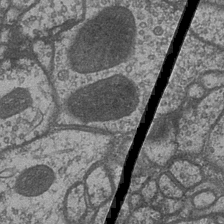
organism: Drosophila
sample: Optic medulla